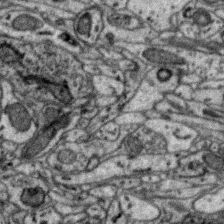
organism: Zebra finch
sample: Brain